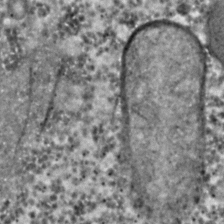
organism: C. elegans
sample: C. elegans embryo